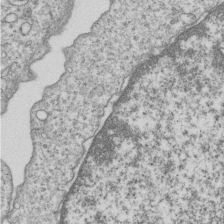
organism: Human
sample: MDA-MB-231 cells